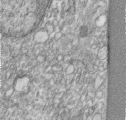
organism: Human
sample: Centriole in RPE cells